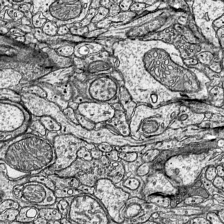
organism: Mouse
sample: Visual Cortex